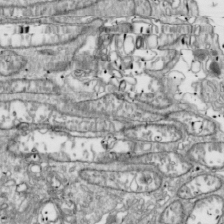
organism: Drosophila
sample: Cell division; meiosis; drosophila spermatocytes